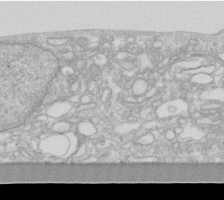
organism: Human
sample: Fibroblast cells